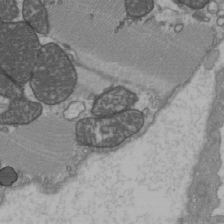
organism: C57BL Mouse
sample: Heart